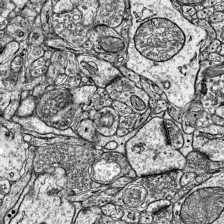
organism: Mouse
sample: Visual Cortex